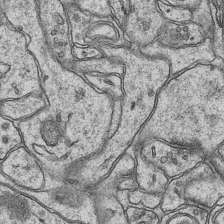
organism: Mouse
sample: CA1 Hippocampus